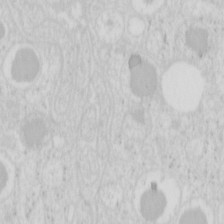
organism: Mouse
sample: Pancreas